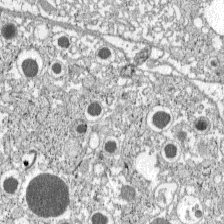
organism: C57BL Mouse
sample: Pancreatic islet